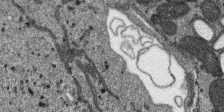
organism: Human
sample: Lung epithelial cells infected with SARS-CoV-2